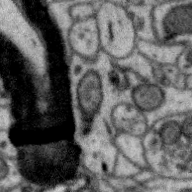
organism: Zebra finch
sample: Brain